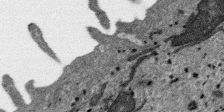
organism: Human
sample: Lung epithelial cells, uninfected (mock) control